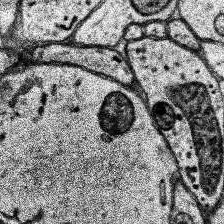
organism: Human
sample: Temporal Lobe